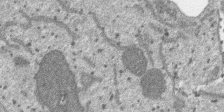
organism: Human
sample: Lung epithelial cells infected with SARS-CoV-2